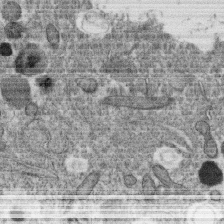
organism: C. elegans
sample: C. elegans oocyte; sperm cells